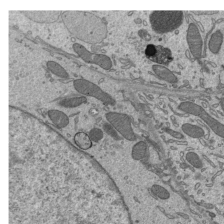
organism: Mouse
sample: Mouse epididymis efferent ductule cilia